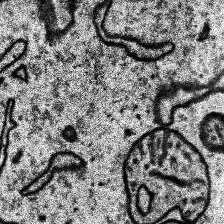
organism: Human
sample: Temporal Lobe